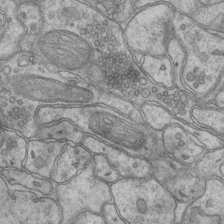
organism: Mouse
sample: CA1 Hippocampus